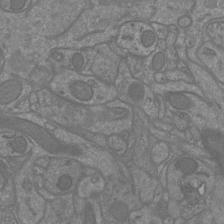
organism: Mouse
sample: Cortical neurons